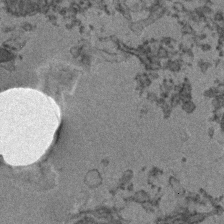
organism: Zebrafish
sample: Zebrafish embryo